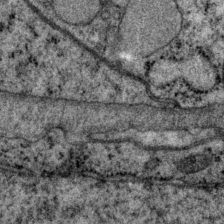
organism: P. pacificus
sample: Pharynx